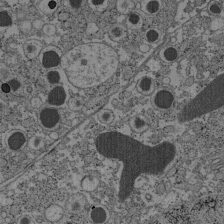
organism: C57BL Mouse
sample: Pancreatic islet